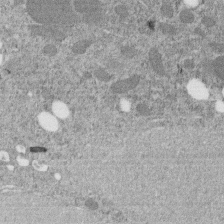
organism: C. elegans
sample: C. elegans embryo early stage